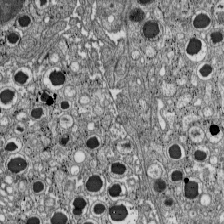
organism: C57BL Mouse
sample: Pancreatic islet